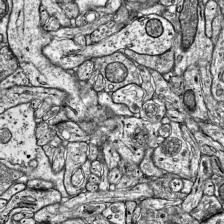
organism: Mouse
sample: Visual Cortex